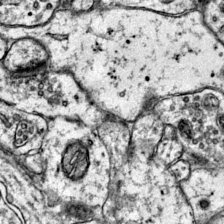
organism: Mouse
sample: Primary visual cortex